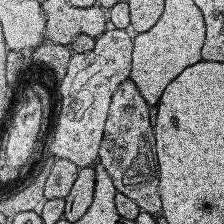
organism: Human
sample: Temporal Lobe